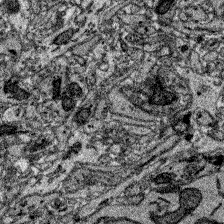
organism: Zebrafish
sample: Larval olfactory bulb